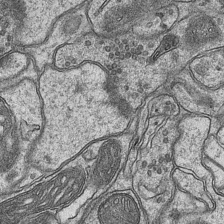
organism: Mouse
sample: CA1 Hippocampus